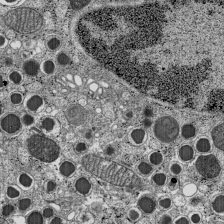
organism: C57BL Mouse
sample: Pancreatic islet